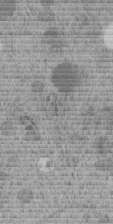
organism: C. elegans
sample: C. elegans embryo early stage